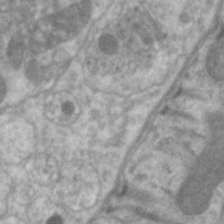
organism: C. elegans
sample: Pharynx